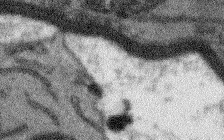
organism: Arabidopsis thaliana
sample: Root tip